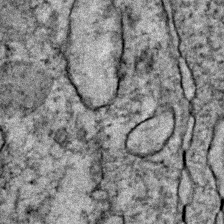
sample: Trachea